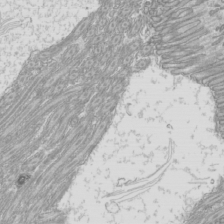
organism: Mouse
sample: Cilia; mouse epididymis